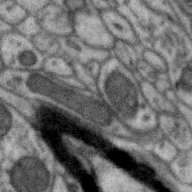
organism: Zebra finch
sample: Brain